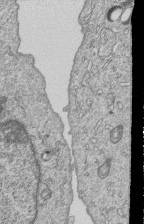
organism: Human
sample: MDA-MB-231 cells